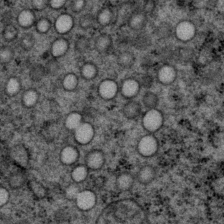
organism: P. pacificus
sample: Pharynx